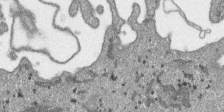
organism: Human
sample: Lung epithelial cells infected with SARS-CoV-2